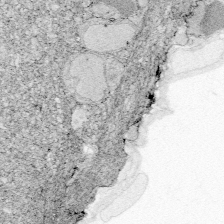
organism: Zebrafish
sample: Whole-Brain